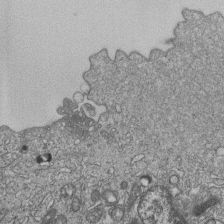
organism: Human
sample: MDA-MB-231 cells